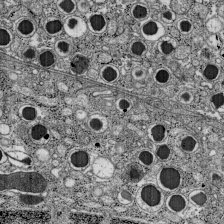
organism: C57BL Mouse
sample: Pancreatic islet